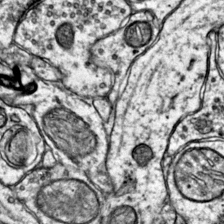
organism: Mouse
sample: Primary visual cortex